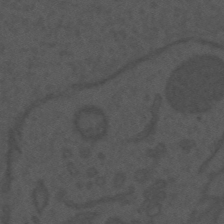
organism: Mouse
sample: Suprachiasmatic nucleus